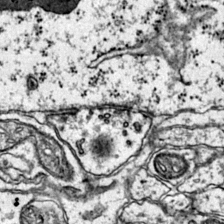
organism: Mouse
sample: Primary visual cortex